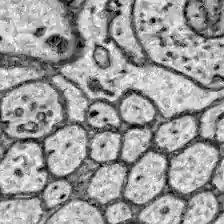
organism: Zebrafish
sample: Brain